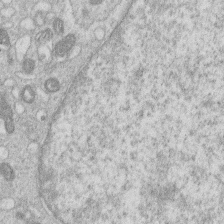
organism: Human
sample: Macrophage cells